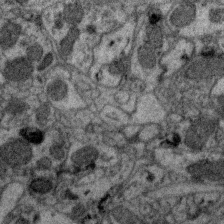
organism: Zebra finch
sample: Brain